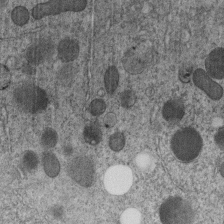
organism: C. elegans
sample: C. elegans embryo early stage